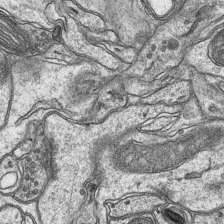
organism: Mouse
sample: CA1 Hippocampus